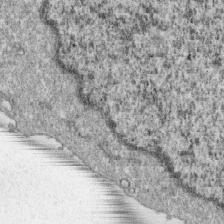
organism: African green monkey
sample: Vero E6 cells infected with SARS-CoV-2